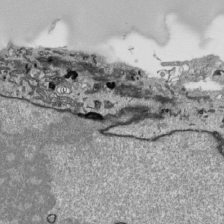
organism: Human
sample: Mitochondria in HCT116 cells